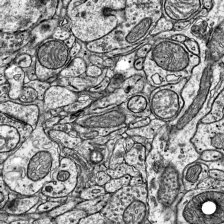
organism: Mouse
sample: Visual Cortex